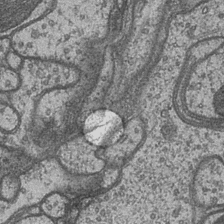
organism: Drosophila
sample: Optic medulla